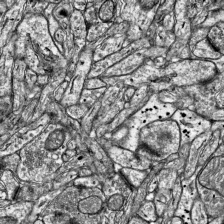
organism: Mouse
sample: Visual Cortex